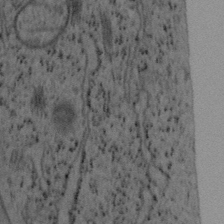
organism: Human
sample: HeLa cells